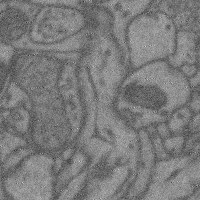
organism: Mouse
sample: Cerebral cortex